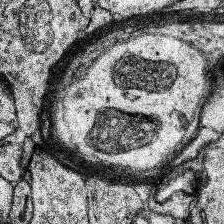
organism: Human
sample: Temporal Lobe